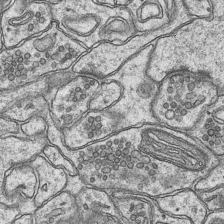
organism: Mouse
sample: CA1 Hippocampus